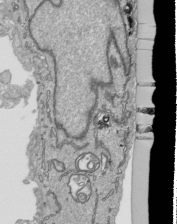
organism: Human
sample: Mitochondria in HCT116 cells